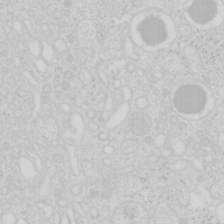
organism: Mouse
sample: Pancreas